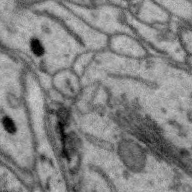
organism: Zebra finch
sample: Brain